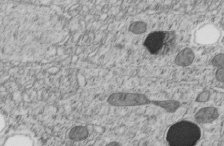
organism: C. elegans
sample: C. elegans embryo early stage